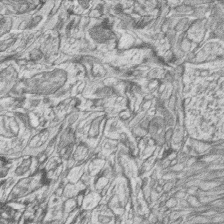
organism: Zebrafish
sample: synaptic ribbons in rod cells and cone cells